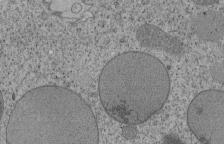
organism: Tetrahymena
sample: Cilia in tetrahymena